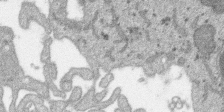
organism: Human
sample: Lung epithelial cells infected with SARS-CoV-2